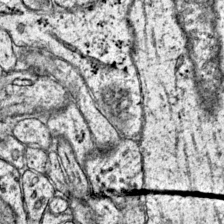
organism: Mouse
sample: Primary visual cortex